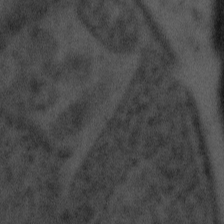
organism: Tuwongella immobilis